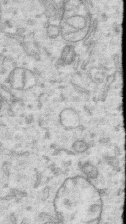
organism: Human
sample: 1205lu cells